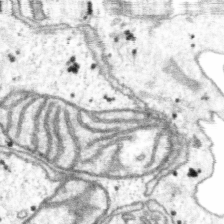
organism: Human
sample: HeLa cells